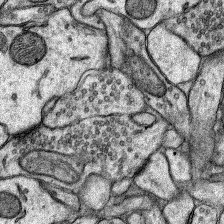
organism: Rat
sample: Hippocampus